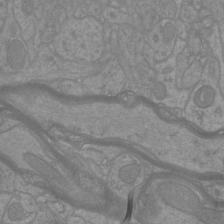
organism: Mouse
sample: Cortical neurons